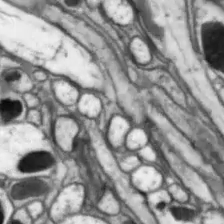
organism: Drosophila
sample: Optic lobe